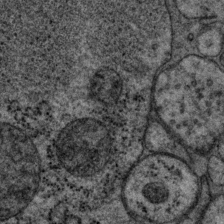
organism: P. pacificus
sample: Pharynx